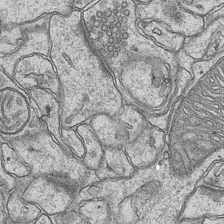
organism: Mouse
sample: CA1 Hippocampus